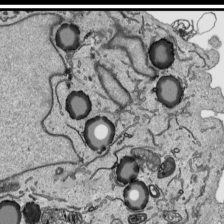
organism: Human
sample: Mitochondria in HCT116 cells